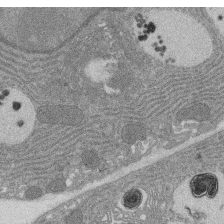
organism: Rat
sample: Salivary granule